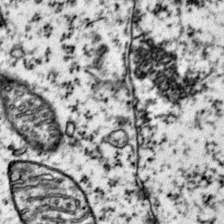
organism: Mouse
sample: Primary visual cortex